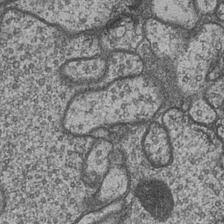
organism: Drosophila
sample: Optic medulla